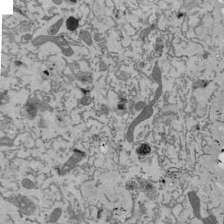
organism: Mouse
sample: ED-1 cell nuclei; centrioles